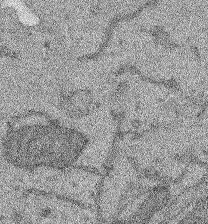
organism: Human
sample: HeLa cells